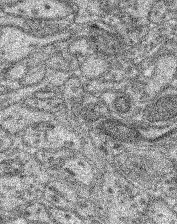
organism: Mouse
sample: Retina